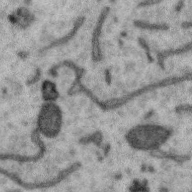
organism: Zebra finch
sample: Brain